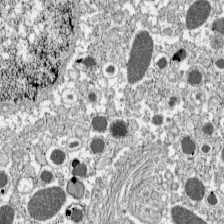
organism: C57BL Mouse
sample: Pancreatic islet